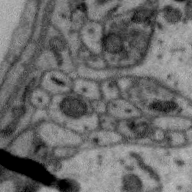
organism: Zebra finch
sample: Brain